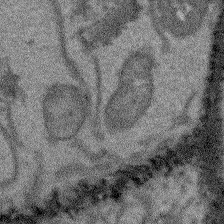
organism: Arabidopsis thaliana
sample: Root tip